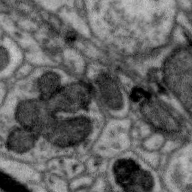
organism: Zebra finch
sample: Brain